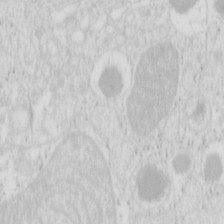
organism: Mouse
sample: Pancreas